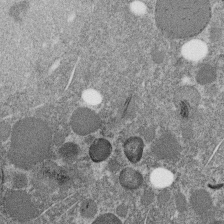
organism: C. elegans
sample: C. elegans embryo early stage